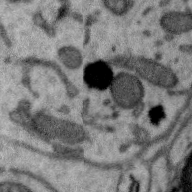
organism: Zebra finch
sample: Brain